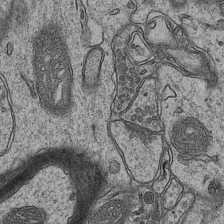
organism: Mouse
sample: CA1 Hippocampus